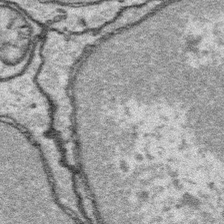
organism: Platynereis dumerilii